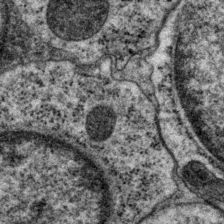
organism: P. pacificus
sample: Pharynx